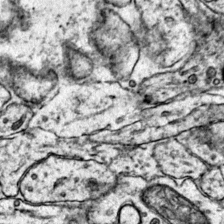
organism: Mouse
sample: Primary visual cortex